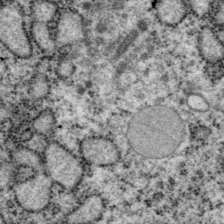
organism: P. pacificus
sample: Pharynx